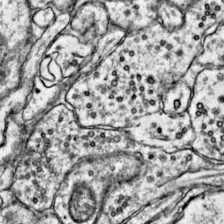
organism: Mouse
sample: Primary visual cortex